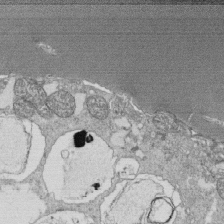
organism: Tetrahymena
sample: Cilia in tetrahymena